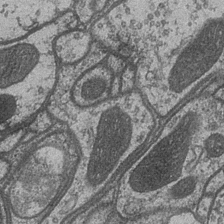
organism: Drosophila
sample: Optic medulla